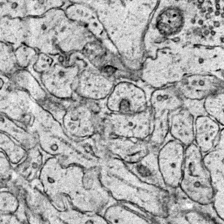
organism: Mouse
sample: Primary visual cortex